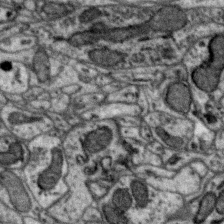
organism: Zebra finch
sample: Brain